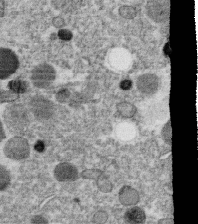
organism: C. elegans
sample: C. elegans oocyte; sperm cells